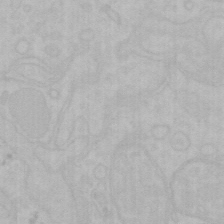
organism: Mouse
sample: Choroid plexus